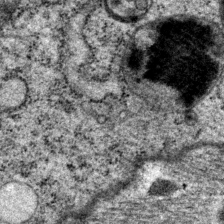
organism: P. pacificus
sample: Pharynx